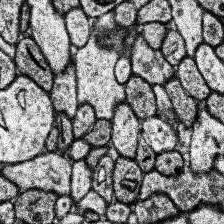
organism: Human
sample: Temporal Lobe